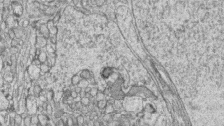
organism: Zebrafish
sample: synaptic ribbons in rod cells and cone cells